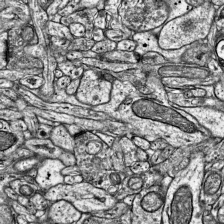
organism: Mouse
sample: Visual Cortex